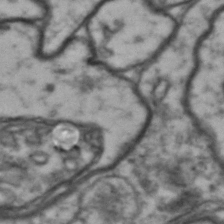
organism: Drosophila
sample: Brain